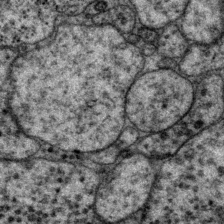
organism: P. pacificus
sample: Pharynx